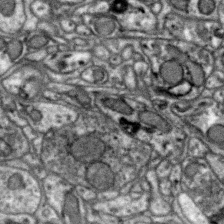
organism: Zebra finch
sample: Brain